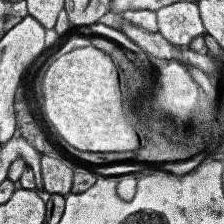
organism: Human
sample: Temporal Lobe